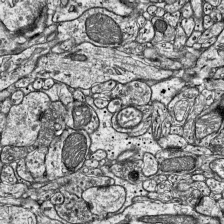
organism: Mouse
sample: Visual Cortex